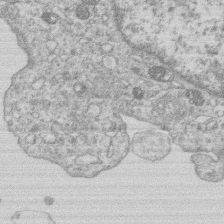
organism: Human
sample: Macrophage cells